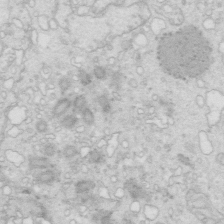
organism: Mouse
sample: Multiciliated cells